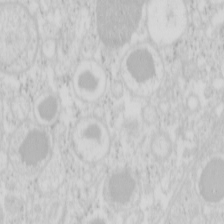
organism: Mouse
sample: Pancreas